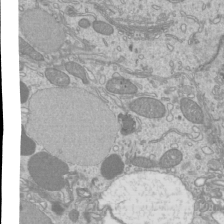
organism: Mouse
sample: Cilia; mouse epididymis